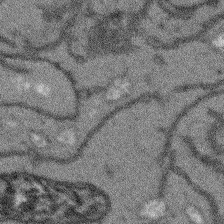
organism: Arabidopsis thaliana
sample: Root tip